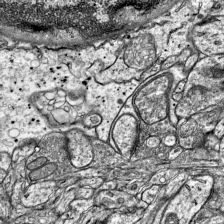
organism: Mouse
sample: Visual Cortex